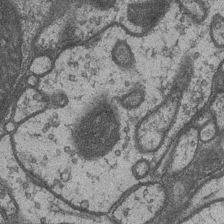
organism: Drosophila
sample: Optic medulla